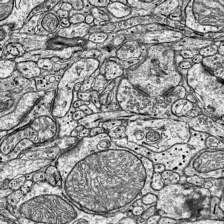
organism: Mouse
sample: Visual Cortex